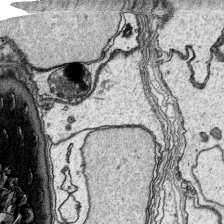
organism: Platynereis dumerilii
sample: Parapodia